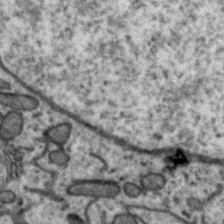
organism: Zebra finch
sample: Brain